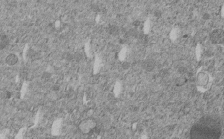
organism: C. elegans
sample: C. elegans embryo early stage